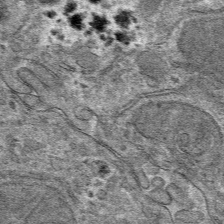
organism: Mouse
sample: Mouse hepatocytes